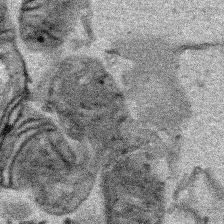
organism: Human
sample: Mitochondria in HCT116 cells